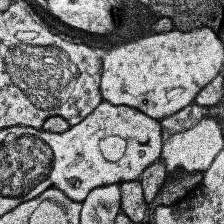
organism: Human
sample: Temporal Lobe